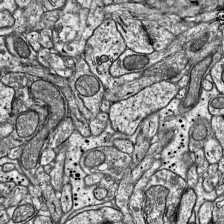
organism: Mouse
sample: Visual Cortex